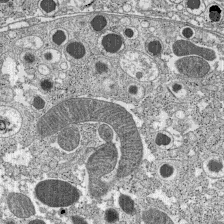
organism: C57BL Mouse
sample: Pancreatic islet